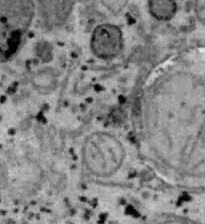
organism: Mouse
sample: Liver from an obese (ob/ob) mouse